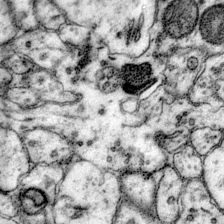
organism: Mouse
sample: Primary visual cortex